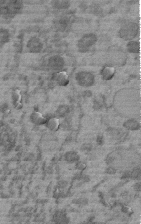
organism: C. elegans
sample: C. elegans embryo early stage